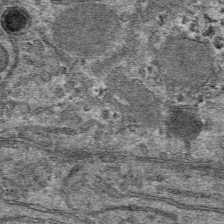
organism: Mouse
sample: Mouse hepatocytes